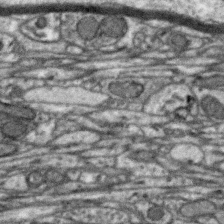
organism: Zebra finch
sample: Brain